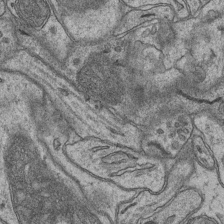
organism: Mouse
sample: CA1 Hippocampus